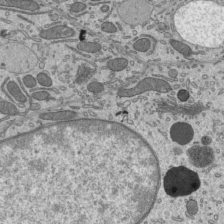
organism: Mouse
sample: Mouse epididymis efferent ductule cilia